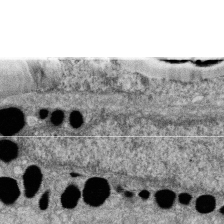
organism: Zebrafish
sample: Cilia; retinal pigment epithelium